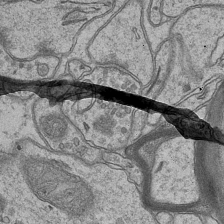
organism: Mouse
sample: CA1 Hippocampus